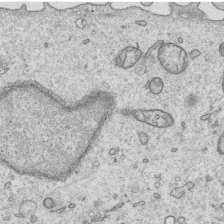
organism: Human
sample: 1205lu cells